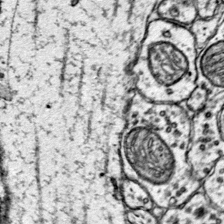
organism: Mouse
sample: Primary visual cortex